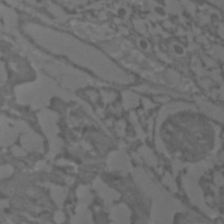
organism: C. elegans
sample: C. elegans embryo